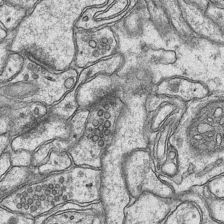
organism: Mouse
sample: CA1 Hippocampus